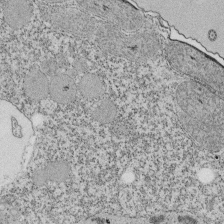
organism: Tetrahymena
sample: Cilia in tetrahymena